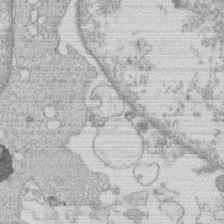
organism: Human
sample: Macrophage cells